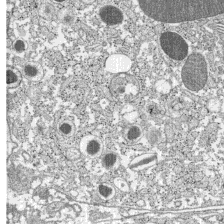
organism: C57BL Mouse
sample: Pancreatic islet